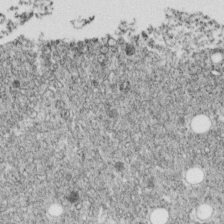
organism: C. elegans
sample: C. elegans embryo early stage